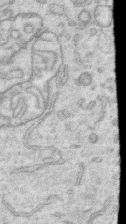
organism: Human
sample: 1205lu cells